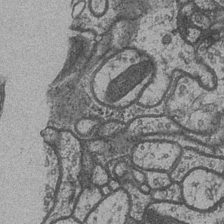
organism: Drosophila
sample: Optic medulla